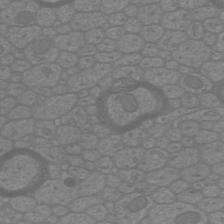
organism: Mouse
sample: Cortical neurons